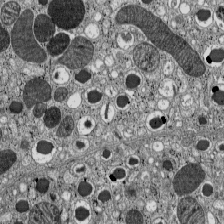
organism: C57BL Mouse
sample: Pancreatic islet